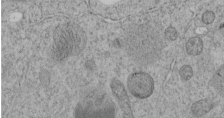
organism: C. elegans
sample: C. elegans embryo early stage